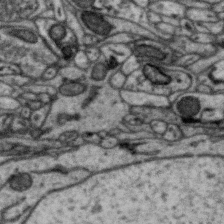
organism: Zebra finch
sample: Brain